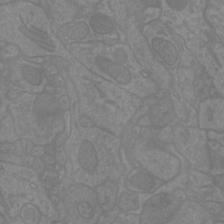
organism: Mouse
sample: Cortical neurons